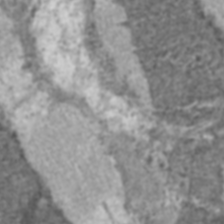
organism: C57BL Mouse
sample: Heart